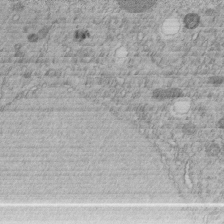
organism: C. elegans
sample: C. elegans embryo early stage